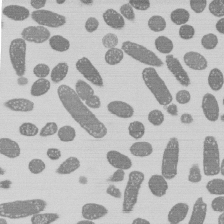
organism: E. coli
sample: Bacterial nucleoid